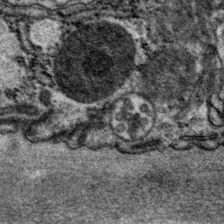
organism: P. pacificus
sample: Pharynx